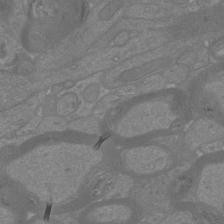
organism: Mouse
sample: Cortical neurons